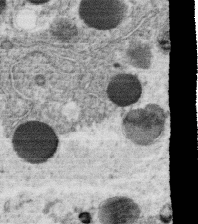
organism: C. elegans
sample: C. elegans oocyte; sperm cells